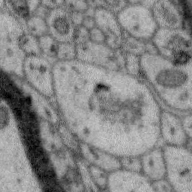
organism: Zebra finch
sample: Brain